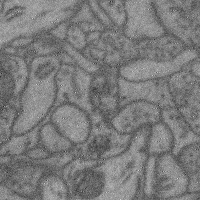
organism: Mouse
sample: Cerebral cortex